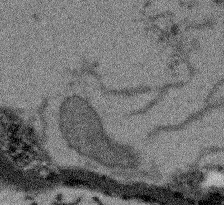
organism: Arabidopsis thaliana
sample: Root tip